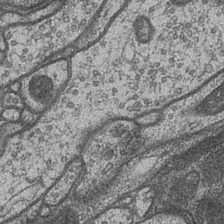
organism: Drosophila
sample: Optic medulla